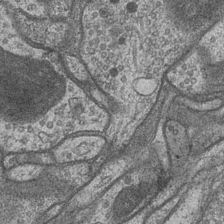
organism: Drosophila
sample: Optic medulla